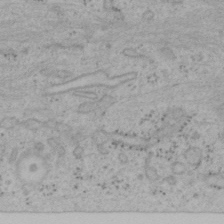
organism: Human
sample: HeLa cells